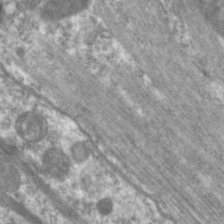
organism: C. elegans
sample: Pharynx